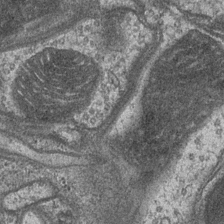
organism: Drosophila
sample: Optic medulla